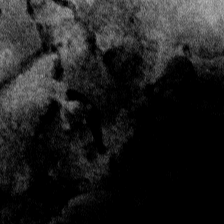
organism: Human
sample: Mitochondria in HCT116 cells